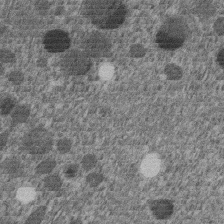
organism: C. elegans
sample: C. elegans embryo early stage